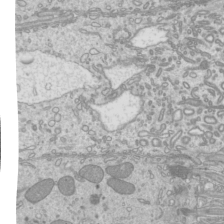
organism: Mouse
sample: Cilia; mouse epididymis